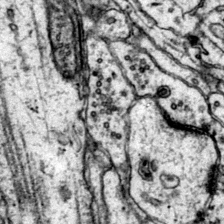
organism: Mouse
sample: Primary visual cortex